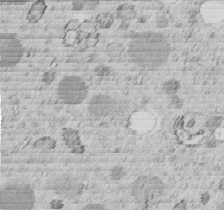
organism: C. elegans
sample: C. elegans embryo early stage